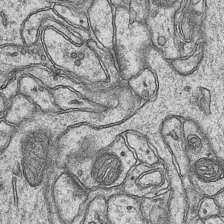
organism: Mouse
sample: CA1 Hippocampus